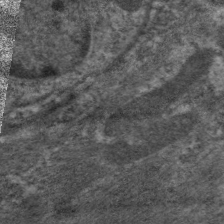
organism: C. elegans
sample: Pharynx